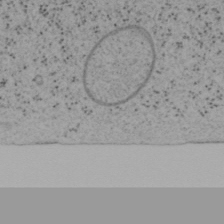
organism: Human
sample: HeLa cells